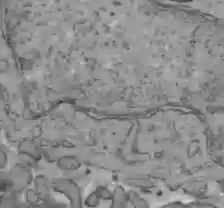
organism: C57BL Mouse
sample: Liver